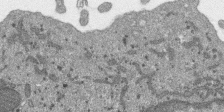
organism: Human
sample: Lung epithelial cells infected with SARS-CoV-2